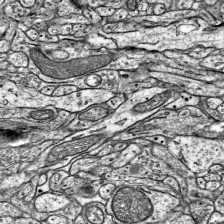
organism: Mouse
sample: Visual Cortex